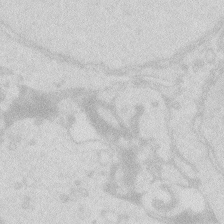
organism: Zebrafish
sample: Macrophage